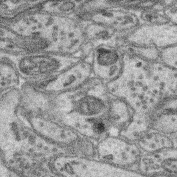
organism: Mouse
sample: Retina